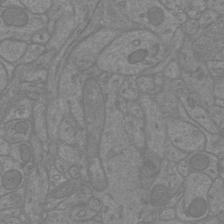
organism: Mouse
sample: Cortical neurons